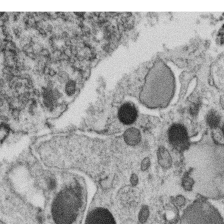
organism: C. elegans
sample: C. elegans oocyte; sperm cells